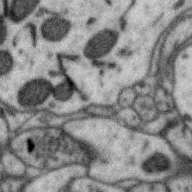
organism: Zebra finch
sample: Brain